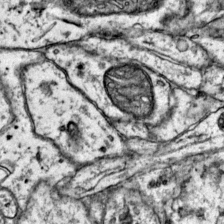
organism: Mouse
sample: Primary visual cortex